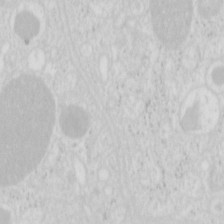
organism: Mouse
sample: Pancreas